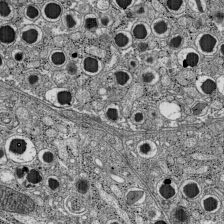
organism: C57BL Mouse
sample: Pancreatic islet